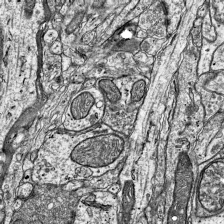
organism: Mouse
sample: Visual Cortex